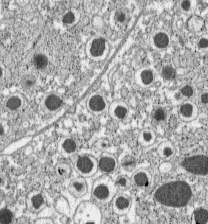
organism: C57BL Mouse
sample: Pancreatic islet